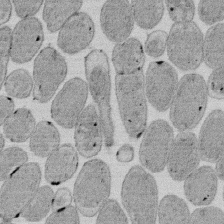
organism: E. coli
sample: Bacterial nucleoid